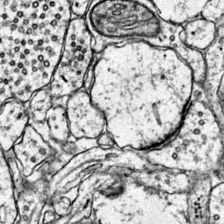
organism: Mouse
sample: Primary visual cortex